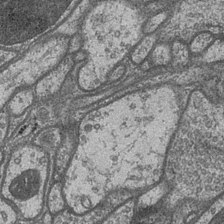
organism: Drosophila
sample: Optic medulla